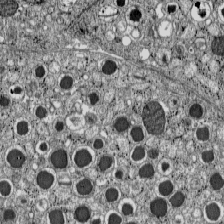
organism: C57BL Mouse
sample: Pancreatic islet